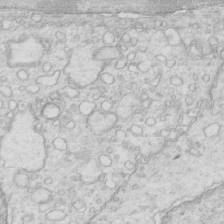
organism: Mouse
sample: Multiciliated cells